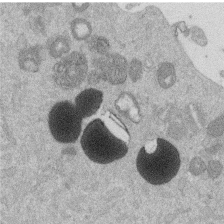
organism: Mouse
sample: Dividing mouse embryo 1 cell stage